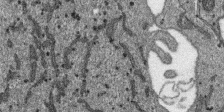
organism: Human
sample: Lung epithelial cells infected with SARS-CoV-2